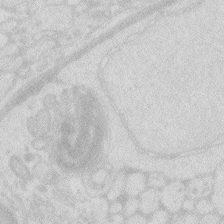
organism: Zebrafish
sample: Macrophage